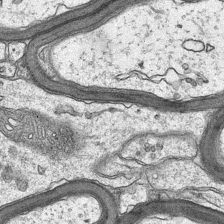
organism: Mouse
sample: CA1 Hippocampus